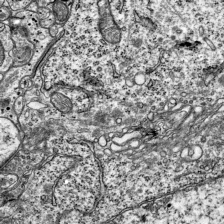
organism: Mouse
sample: Visual Cortex